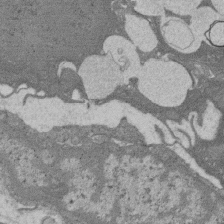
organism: Rat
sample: Salivary granule